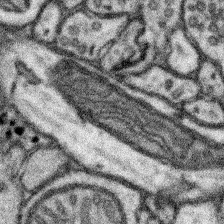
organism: Mouse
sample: Somatosensory cortex neuropil